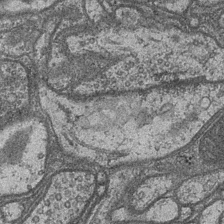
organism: Drosophila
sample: Optic medulla